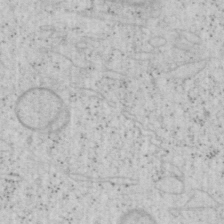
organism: Human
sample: HeLa cells